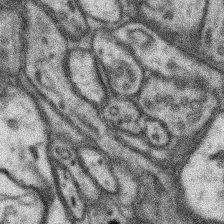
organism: Mouse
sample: Somatosensory cortex neuropil